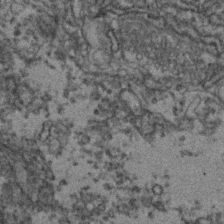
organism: Zebrafish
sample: Zebrafish embryo